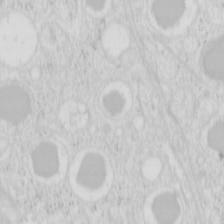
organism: Mouse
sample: Pancreas